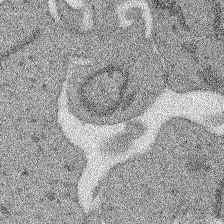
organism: Human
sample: HeLa cells